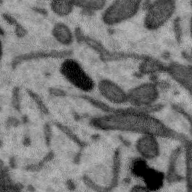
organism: Zebra finch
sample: Brain